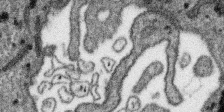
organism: Human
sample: Lung epithelial cells infected with SARS-CoV-2